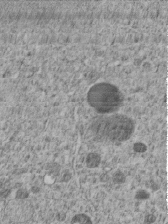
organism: C. elegans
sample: C. elegans embryo early stage